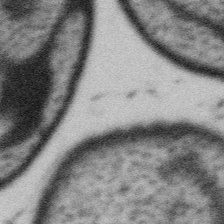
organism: Gemmata obscuriglobus